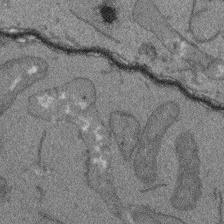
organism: Arabidopsis thaliana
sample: Root tip